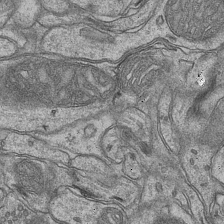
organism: Mouse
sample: CA1 Hippocampus